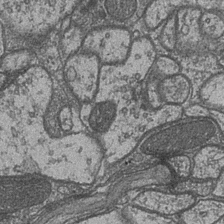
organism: Drosophila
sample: Optic medulla